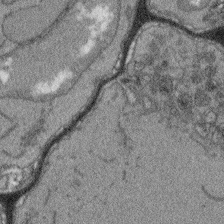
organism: Arabidopsis thaliana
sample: Root tip